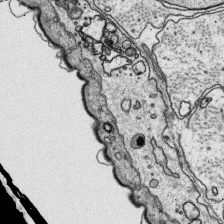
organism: Platynereis dumerilii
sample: Parapodia